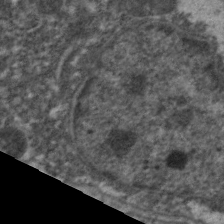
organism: C. elegans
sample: Pharynx